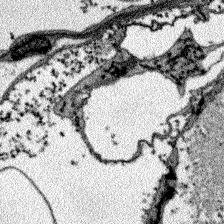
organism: Zebrafish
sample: Larval olfactory bulb